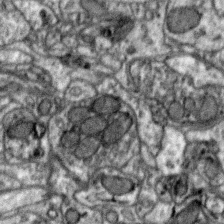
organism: Zebra finch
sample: Brain